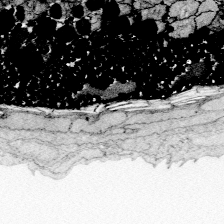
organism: Zebrafish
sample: Whole-Brain